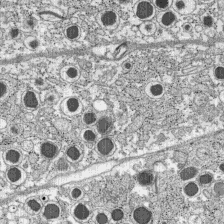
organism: C57BL Mouse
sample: Pancreatic islet